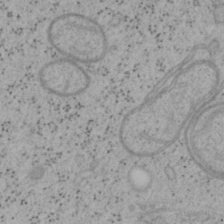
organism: Human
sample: HeLa cells